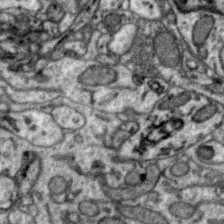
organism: Zebra finch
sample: Brain